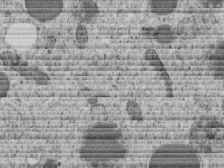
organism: C. elegans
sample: C. elegans embryo early stage